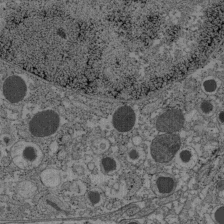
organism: C57BL Mouse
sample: Pancreatic islet